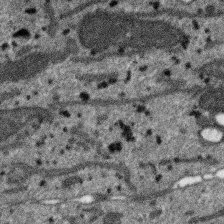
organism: Human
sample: Lung epithelial cells infected with SARS-CoV-2